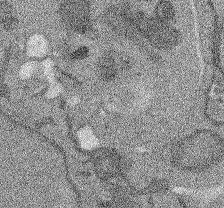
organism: Human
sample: HeLa cells